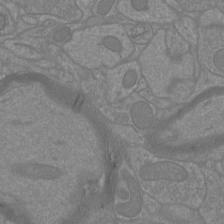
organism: Mouse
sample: Cortical neurons